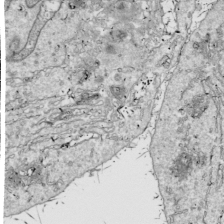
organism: Drosophila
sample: Cell division; meiosis; drosophila spermatocytes